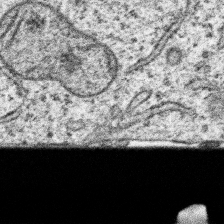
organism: Human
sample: HeLa cells